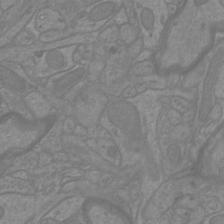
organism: Mouse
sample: Cortical neurons